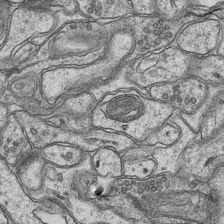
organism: Mouse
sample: CA1 Hippocampus